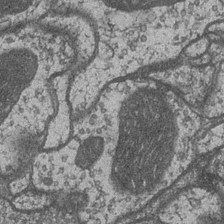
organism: Drosophila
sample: Optic medulla